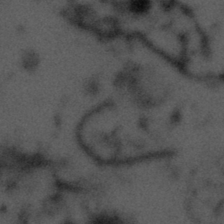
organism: Tuwongella immobilis